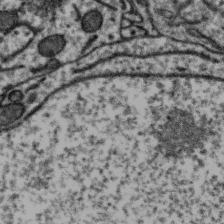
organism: Zebra finch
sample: Brain